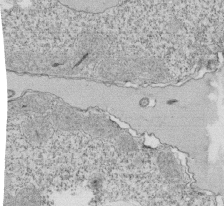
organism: Tetrahymena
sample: Cilia in tetrahymena